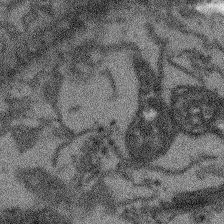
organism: Arabidopsis thaliana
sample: Root tip